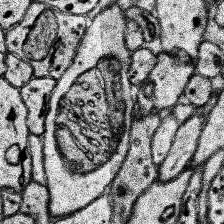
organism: Human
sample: Temporal Lobe